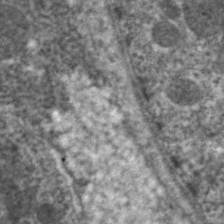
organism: C. elegans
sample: Pharynx